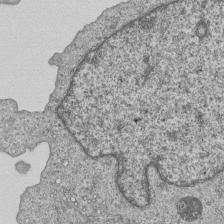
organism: Human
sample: MDA-MB-231 cells